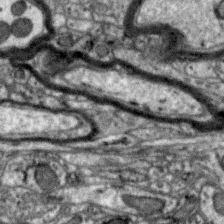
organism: Zebra finch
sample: Brain